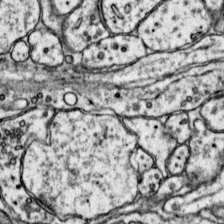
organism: Mouse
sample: Primary visual cortex